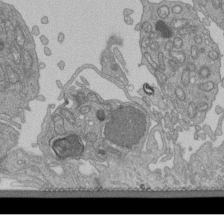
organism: Human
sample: Retinal organoid Rod and Cone cells